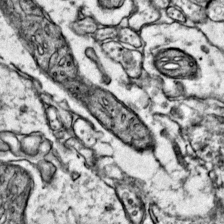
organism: Mouse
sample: Primary visual cortex